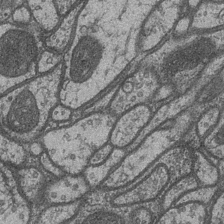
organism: Drosophila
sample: Optic medulla